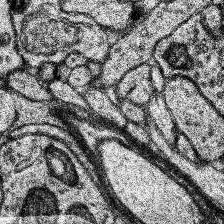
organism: Human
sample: Temporal Lobe